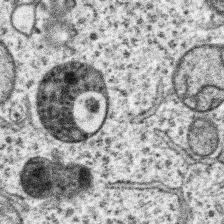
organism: Human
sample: HeLa cells